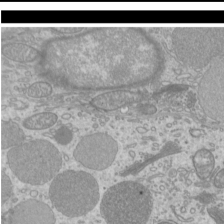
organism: Mouse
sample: Cilia; mouse epididymis